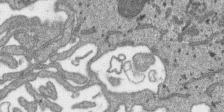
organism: Human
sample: Lung epithelial cells infected with SARS-CoV-2